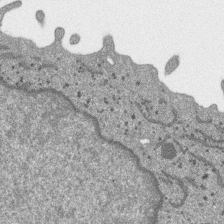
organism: Human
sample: Lung epithelial cells infected with SARS-CoV-2